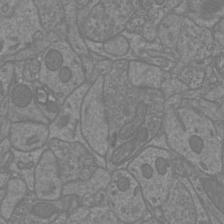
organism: Mouse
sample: Cortical neurons